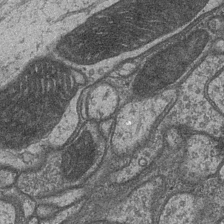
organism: Drosophila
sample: Optic medulla